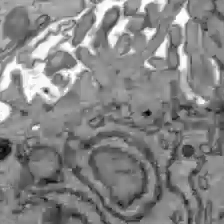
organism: C57BL Mouse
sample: Liver